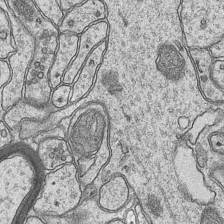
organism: Mouse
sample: CA1 Hippocampus